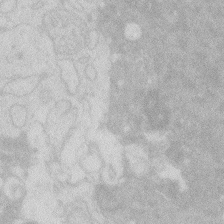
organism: Zebrafish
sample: Macrophage